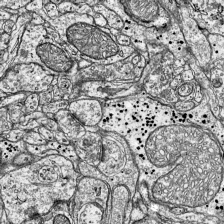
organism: Mouse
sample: Visual Cortex